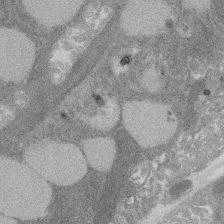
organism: Rat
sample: Salivary granule